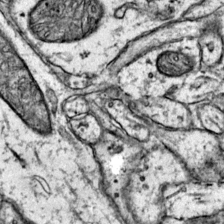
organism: Mouse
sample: Primary visual cortex